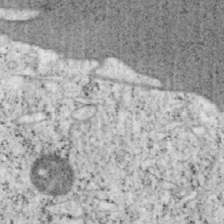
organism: Mouse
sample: OT-I killer T cells with ID8 ovarian cancer cells